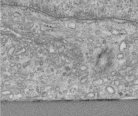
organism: Human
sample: Centriole in RPE cells